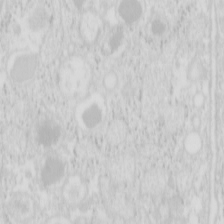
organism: Mouse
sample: Pancreas